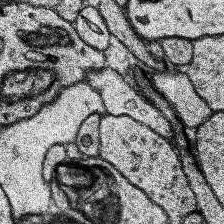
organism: Human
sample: Temporal Lobe